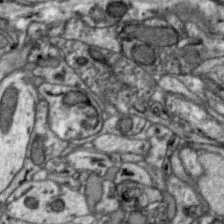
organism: Zebra finch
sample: Brain